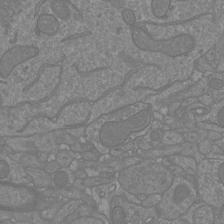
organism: Mouse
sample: Cortical neurons